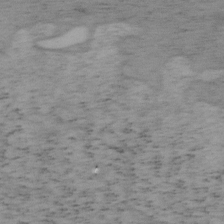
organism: Mouse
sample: OT-I killer T cells with ID8 ovarian cancer cells